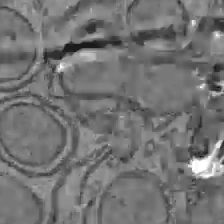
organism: C57BL Mouse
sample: Liver